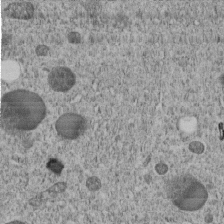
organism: C. elegans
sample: C. elegans embryo early stage